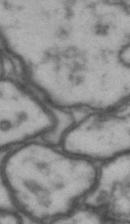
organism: Drosophila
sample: Brain